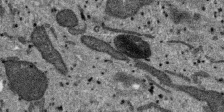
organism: Human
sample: Lung epithelial cells, uninfected (mock) control